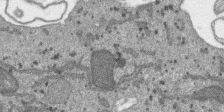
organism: Human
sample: Lung epithelial cells infected with SARS-CoV-2